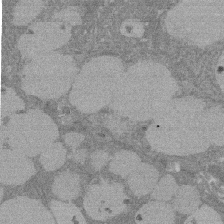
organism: Rat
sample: Salivary granule